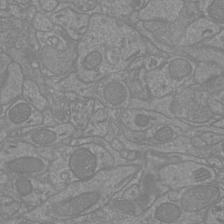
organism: Mouse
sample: Cortical neurons